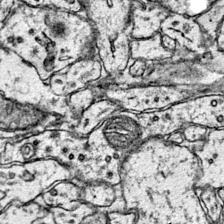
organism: Mouse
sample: Primary visual cortex